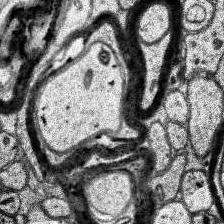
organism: Human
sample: Temporal Lobe